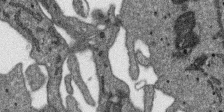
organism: Human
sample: Lung epithelial cells infected with SARS-CoV-2